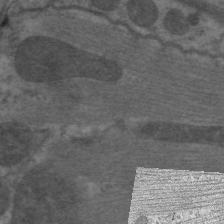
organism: C. elegans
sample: Pharynx